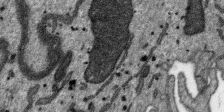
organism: Human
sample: Lung epithelial cells, uninfected (mock) control